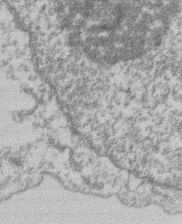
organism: Mouse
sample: T cell stromal cell synapse